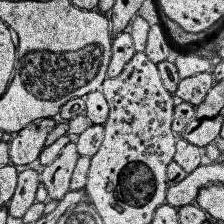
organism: Human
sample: Temporal Lobe